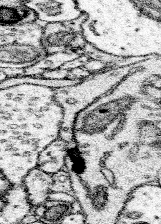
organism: Mouse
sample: Somatosensory cortex neuropil